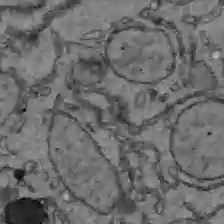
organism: C57BL Mouse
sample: Liver